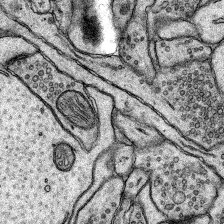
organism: Rat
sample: Hippocampus